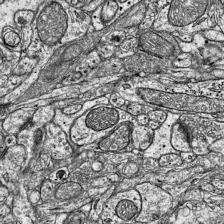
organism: Mouse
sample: Visual Cortex